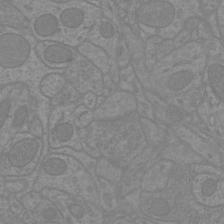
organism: Mouse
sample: Cortical neurons